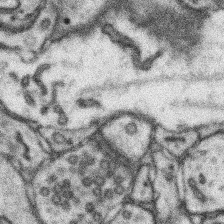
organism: Mouse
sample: Somatosensory cortex neuropil